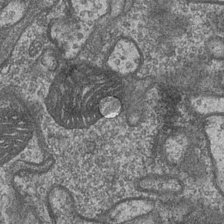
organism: Drosophila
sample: Optic medulla